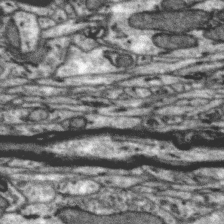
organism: Zebra finch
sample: Brain